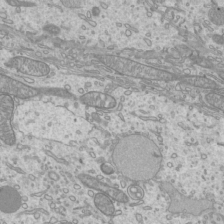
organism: Mouse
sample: Cilia; mouse epididymis